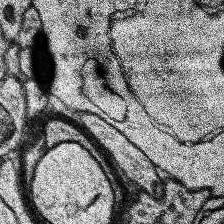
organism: Human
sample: Temporal Lobe